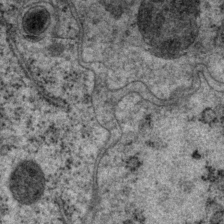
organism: P. pacificus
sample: Pharynx